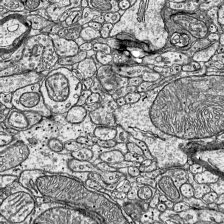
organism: Mouse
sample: Visual Cortex